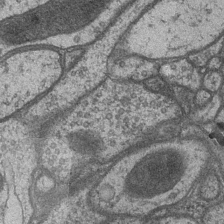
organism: Drosophila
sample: Optic medulla